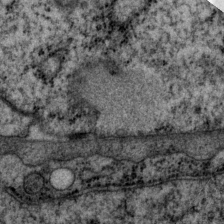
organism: P. pacificus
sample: Pharynx